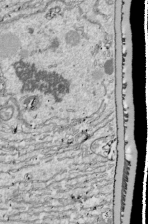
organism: Drosophila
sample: Cell division; meiosis; drosophila spermatocytes